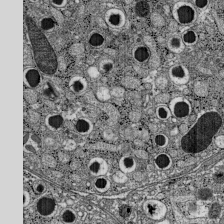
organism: C57BL Mouse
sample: Pancreatic islet